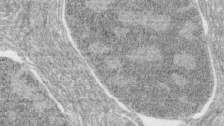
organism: Zebrafish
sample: synaptic ribbons in rod cells and cone cells